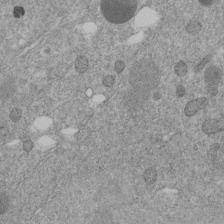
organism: C. elegans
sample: C. elegans embryo early stage